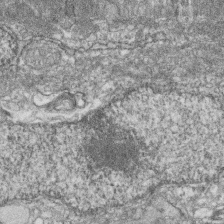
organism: Zebrafish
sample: Cilia; retinal pigment epithelium